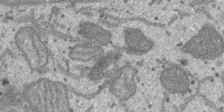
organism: Human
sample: Lung epithelial cells infected with SARS-CoV-2